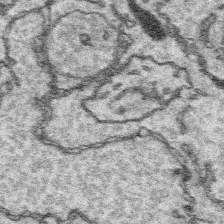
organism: Platynereis dumerilii